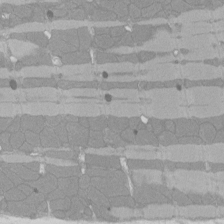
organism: Rat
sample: Left ventricle